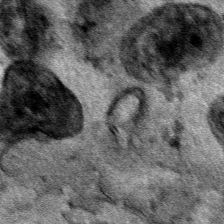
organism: Human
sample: Mitochondria in HCT116 cells